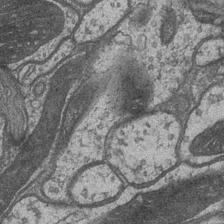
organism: Drosophila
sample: Optic medulla